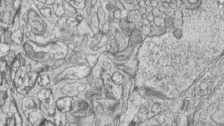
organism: Zebrafish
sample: synaptic ribbons in rod cells and cone cells